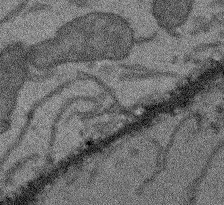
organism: Arabidopsis thaliana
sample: Root tip